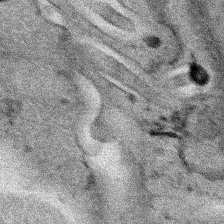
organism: Human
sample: Mitochondria in HCT116 cells